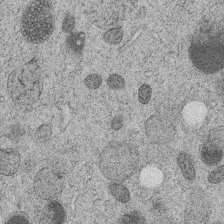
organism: C. elegans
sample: C. elegans embryo early stage